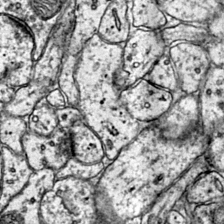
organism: Mouse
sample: Primary visual cortex